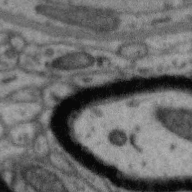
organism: Zebra finch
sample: Brain